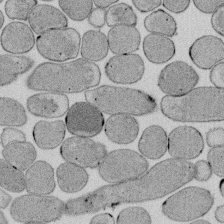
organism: E. coli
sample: Bacterial nucleoid